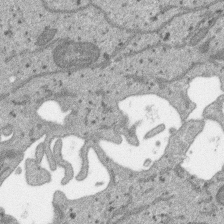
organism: Human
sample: Lung epithelial cells infected with SARS-CoV-2